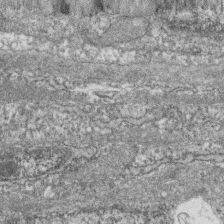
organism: Zebrafish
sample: Cilia; retinal pigment epithelium